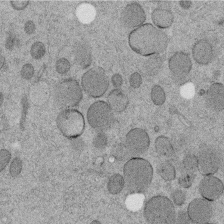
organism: C. elegans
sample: C. elegans embryo early stage